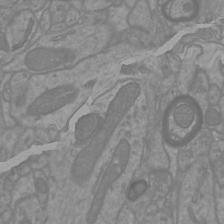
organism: Mouse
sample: Cortical neurons